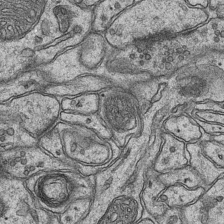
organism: Mouse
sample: CA1 Hippocampus